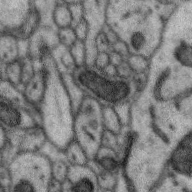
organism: Zebra finch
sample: Brain